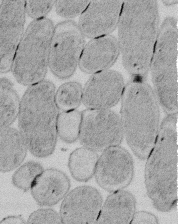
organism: E. coli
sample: Bacterial nucleoid